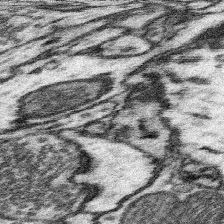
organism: Mouse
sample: Somatosensory cortex neuropil